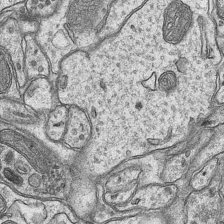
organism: Mouse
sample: CA1 Hippocampus